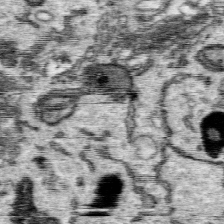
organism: Human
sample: HeLa cells